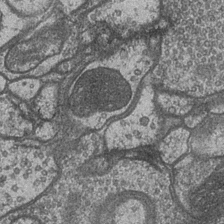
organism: Drosophila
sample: Optic medulla